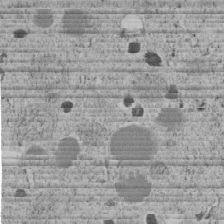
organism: C. elegans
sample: C. elegans embryo early stage